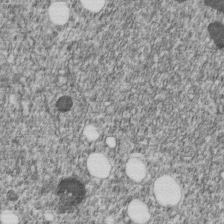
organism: C. elegans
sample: C. elegans embryo early stage